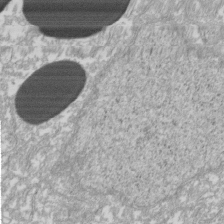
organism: Xenopus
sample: Cilia; centrioles in frog embryo cells